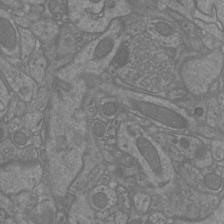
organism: Mouse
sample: Cortical neurons